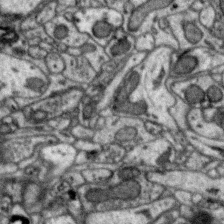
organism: Zebra finch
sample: Brain